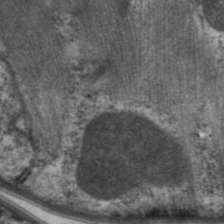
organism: C. elegans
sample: Pharynx